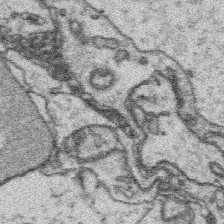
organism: Platynereis dumerilii